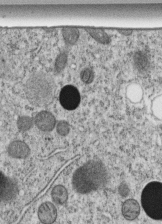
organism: C. elegans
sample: C. elegans embryo early stage